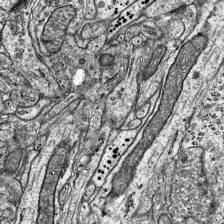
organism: Mouse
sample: Visual Cortex